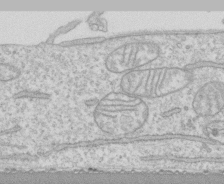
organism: Human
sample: CRL-1474